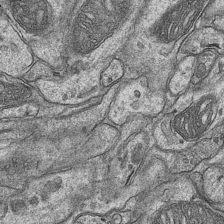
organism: Mouse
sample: CA1 Hippocampus